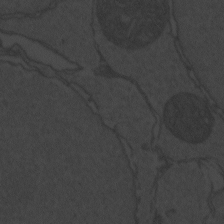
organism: Zebrafish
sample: Macrophage infected with Toxoplasma gondii